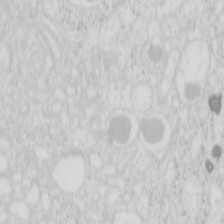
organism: Mouse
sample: Pancreas